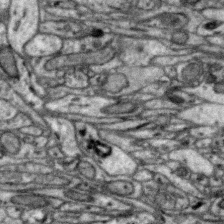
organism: Zebra finch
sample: Brain